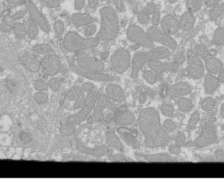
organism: Xenopus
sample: Cilia; centrioles in frog embryo cells